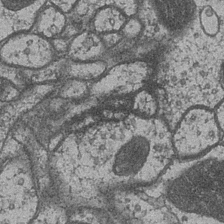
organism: Drosophila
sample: Optic medulla